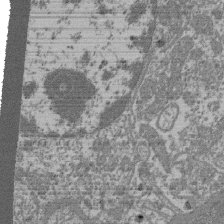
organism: Mouse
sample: Glomerulus